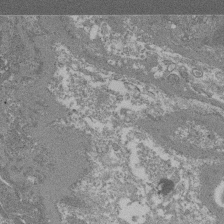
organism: Mouse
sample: Glomerulus